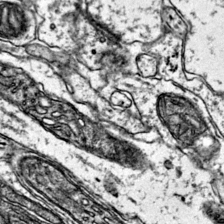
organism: Mouse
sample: Primary visual cortex